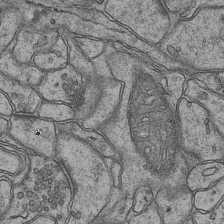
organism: Mouse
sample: CA1 Hippocampus